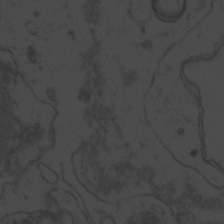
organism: Zebrafish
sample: Macrophage infected with Toxoplasma gondii